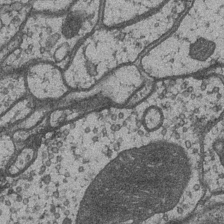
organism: Drosophila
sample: Optic medulla